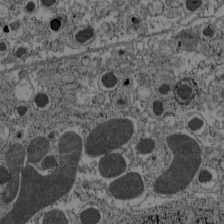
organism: C57BL Mouse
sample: Pancreatic islet